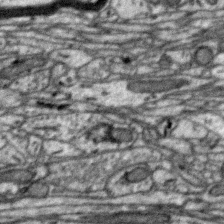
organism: Zebra finch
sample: Brain